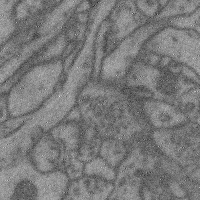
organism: Mouse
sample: Cerebral cortex